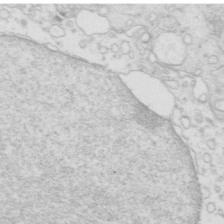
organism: Mouse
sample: Multiciliated cells